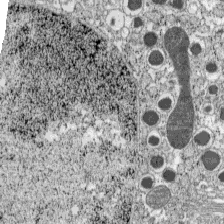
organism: C57BL Mouse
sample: Pancreatic islet